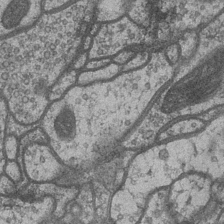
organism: Drosophila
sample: Optic medulla